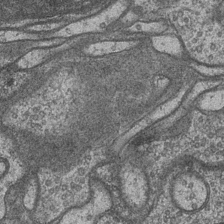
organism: Drosophila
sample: Optic medulla